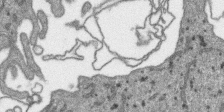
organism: Human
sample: Lung epithelial cells infected with SARS-CoV-2